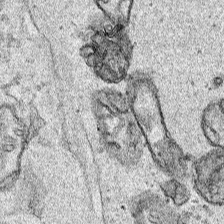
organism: Human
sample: Mitochondria in HCT116 cells